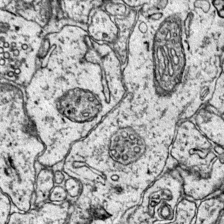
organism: Mouse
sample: Primary visual cortex